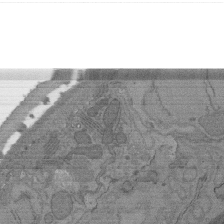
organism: C. elegans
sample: AFD neurons C. elegans